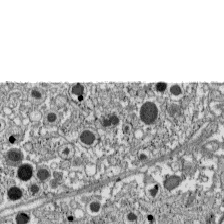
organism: C57BL Mouse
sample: Pancreatic islet